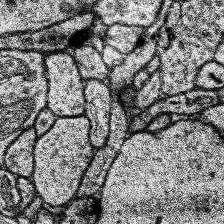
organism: Human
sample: Temporal Lobe